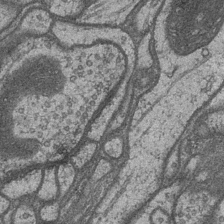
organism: Drosophila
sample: Optic medulla